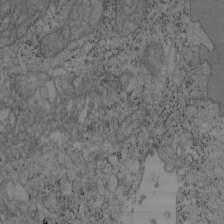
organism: Mouse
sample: OT-I killer T cells with ID8 ovarian cancer cells